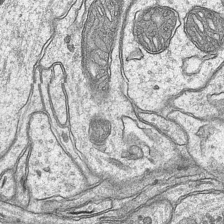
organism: Mouse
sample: CA1 Hippocampus